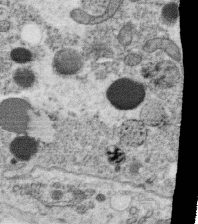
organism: C. elegans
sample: C. elegans oocyte; sperm cells